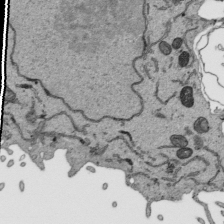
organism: Human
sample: Mitochondria in HCT116 cells